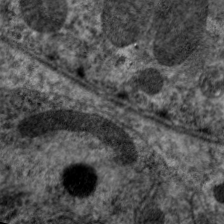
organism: C. elegans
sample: Pharynx